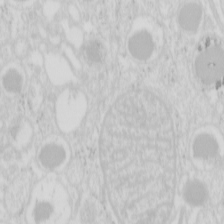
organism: Mouse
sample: Pancreas